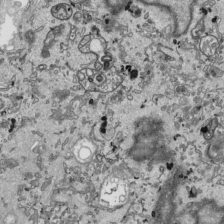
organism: Human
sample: Mitochondria in HCT116 cells